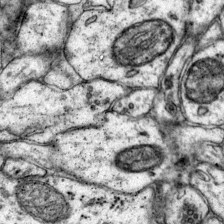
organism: Mouse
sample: Primary visual cortex